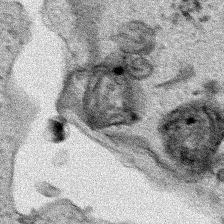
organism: Human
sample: Mitochondria in HCT116 cells